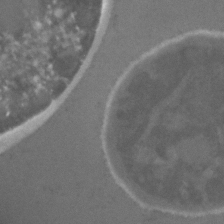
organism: C. elegans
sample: C. elegans embryo